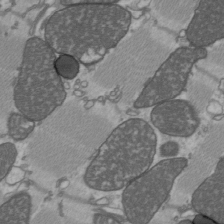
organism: C57BL Mouse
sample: Heart